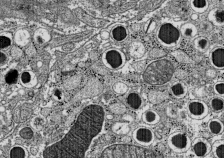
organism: C57BL Mouse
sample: Pancreatic islet